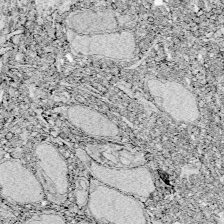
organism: Zebrafish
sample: Whole-Brain